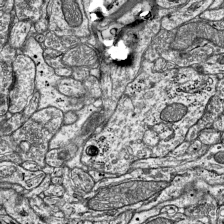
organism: Mouse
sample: Visual Cortex